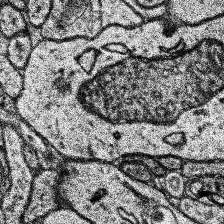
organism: Human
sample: Temporal Lobe